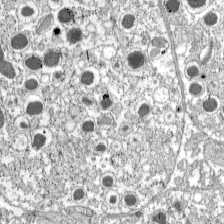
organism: C57BL Mouse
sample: Pancreatic islet